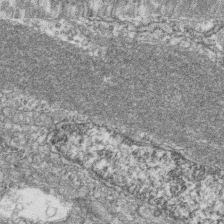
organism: Zebrafish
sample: Cilia; retinal pigment epithelium